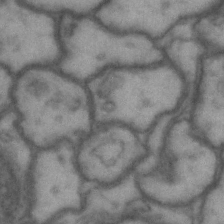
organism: Drosophila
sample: Brain